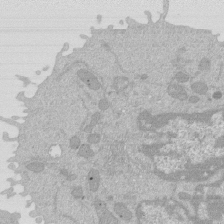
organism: Mouse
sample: Activated Pmel transgenic CD8+ T Cells